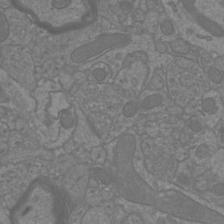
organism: Mouse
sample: Cortical neurons